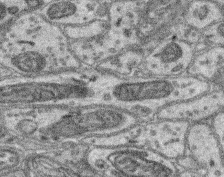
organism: Mouse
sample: Retina